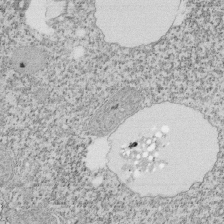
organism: Tetrahymena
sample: Cilia in tetrahymena